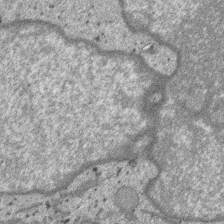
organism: Human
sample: Lung epithelial cells infected with SARS-CoV-2